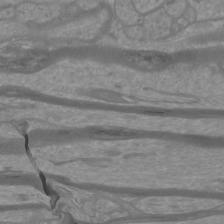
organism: Mouse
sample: Cortical neurons